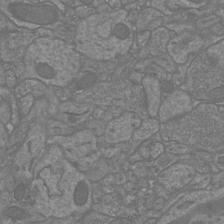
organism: Mouse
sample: Cortical neurons